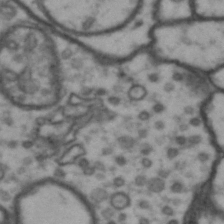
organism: Drosophila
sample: Brain